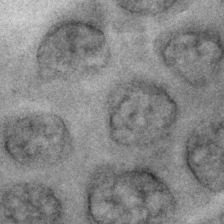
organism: C. elegans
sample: C. elegans embryo